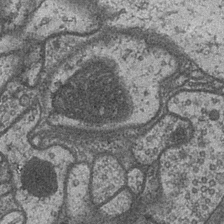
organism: Drosophila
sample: Optic medulla